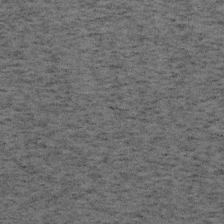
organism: Mouse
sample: OT-I killer T cells with ID8 ovarian cancer cells